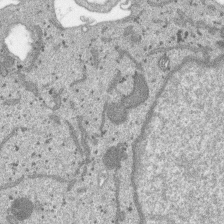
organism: Human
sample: Lung epithelial cells infected with SARS-CoV-2